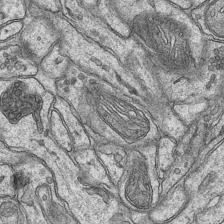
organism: Mouse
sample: CA1 Hippocampus